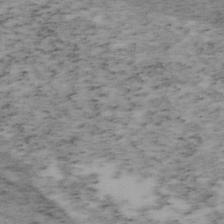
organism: Mouse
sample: OT-I killer T cells with ID8 ovarian cancer cells